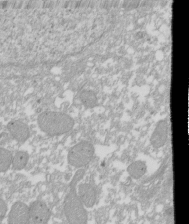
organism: Xenopus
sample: Cilia; centrioles in frog embryo cells